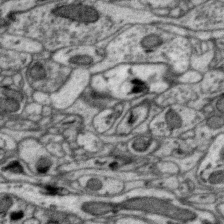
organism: Zebra finch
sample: Brain